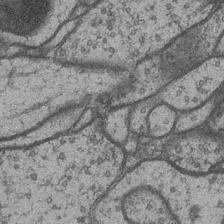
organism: Drosophila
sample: Optic medulla